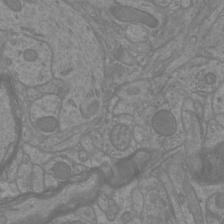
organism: Mouse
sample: Cortical neurons